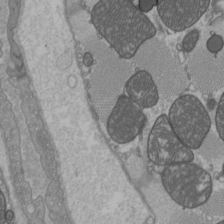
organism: C57BL Mouse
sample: Heart